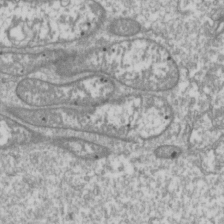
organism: Drosophila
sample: Cell division; meiosis; drosophila spermatocytes